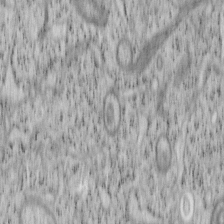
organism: Human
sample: HeLa cells